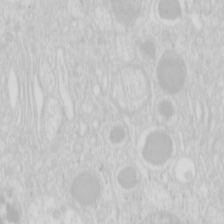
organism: Mouse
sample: Pancreas